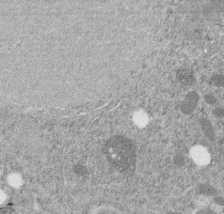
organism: C. elegans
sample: C. elegans embryo early stage